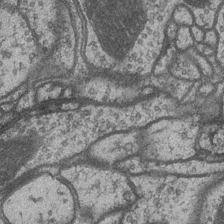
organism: Drosophila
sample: Optic medulla